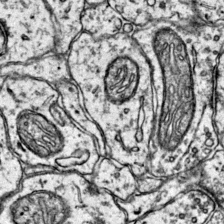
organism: Mouse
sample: Primary visual cortex